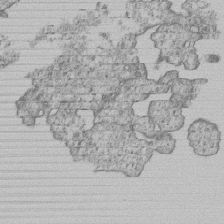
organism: Human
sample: MDA-MB-231 cells